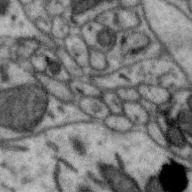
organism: Zebra finch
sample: Brain